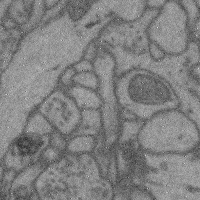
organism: Mouse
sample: Cerebral cortex